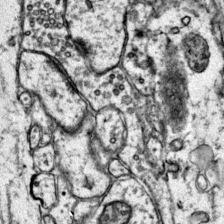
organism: Mouse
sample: Primary visual cortex